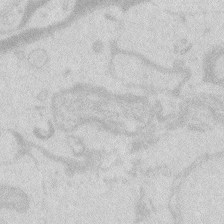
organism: Zebrafish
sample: Macrophage